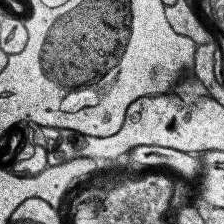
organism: Human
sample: Temporal Lobe